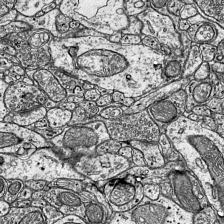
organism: Mouse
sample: Visual Cortex